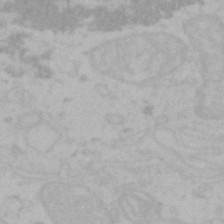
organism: Mouse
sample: Choroid plexus